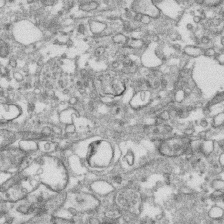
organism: Human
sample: CRL-1474